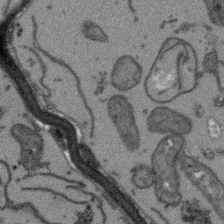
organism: Arabidopsis thaliana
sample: Root tip